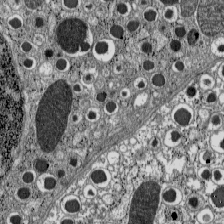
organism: C57BL Mouse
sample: Pancreatic islet